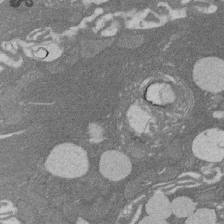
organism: Rat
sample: Salivary granule